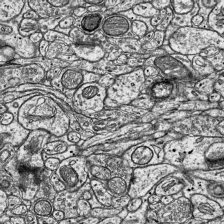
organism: Mouse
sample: Visual Cortex